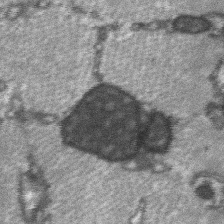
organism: C57BL Mouse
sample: Soleus